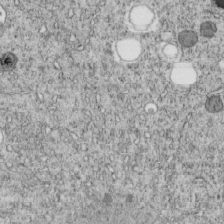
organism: C. elegans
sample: C. elegans embryo early stage